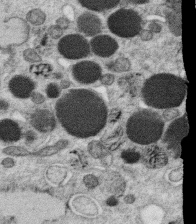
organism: C. elegans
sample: C. elegans oocyte; sperm cells